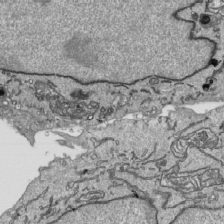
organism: Human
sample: Mitochondria in HCT116 cells